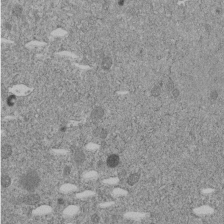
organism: C. elegans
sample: C. elegans embryo early stage